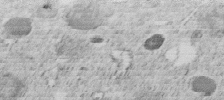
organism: C. elegans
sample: C. elegans embryo early stage